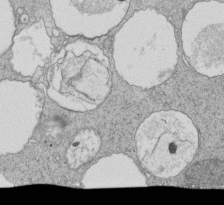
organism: Tetrahymena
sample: Cilia in tetrahymena